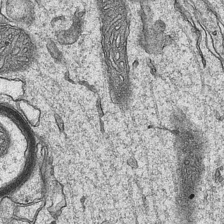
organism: Mouse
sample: CA1 Hippocampus